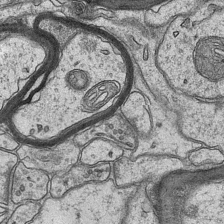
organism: Mouse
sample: CA1 Hippocampus